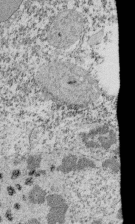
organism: Tetrahymena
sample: Cilia in tetrahymena